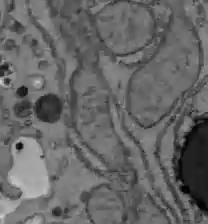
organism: C57BL Mouse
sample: Liver